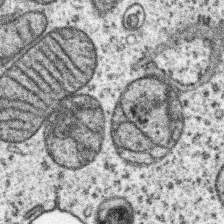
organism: Human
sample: HeLa cells